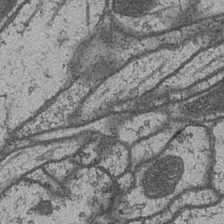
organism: Drosophila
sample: Optic medulla